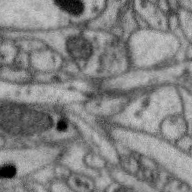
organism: Zebra finch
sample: Brain